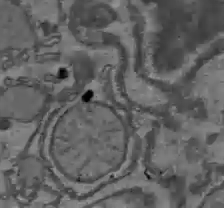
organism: C57BL Mouse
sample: Liver